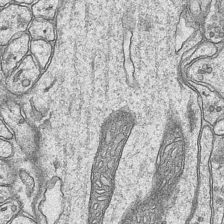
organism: Mouse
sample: CA1 Hippocampus